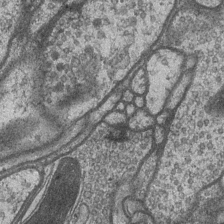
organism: Drosophila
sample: Optic medulla